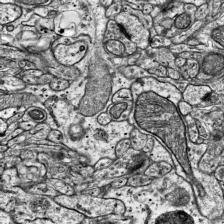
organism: Mouse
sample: Visual Cortex